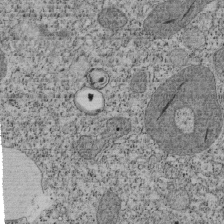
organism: Tetrahymena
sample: Cilia in tetrahymena